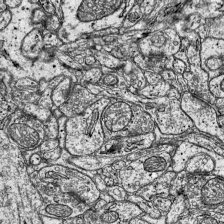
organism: Mouse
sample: Visual Cortex